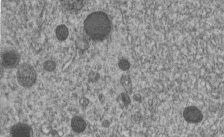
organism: C. elegans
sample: C. elegans embryo early stage